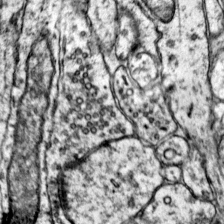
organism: Mouse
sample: Primary visual cortex